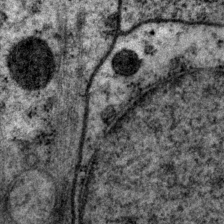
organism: P. pacificus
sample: Pharynx